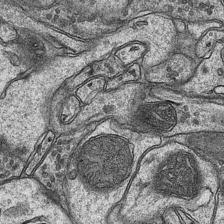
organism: Mouse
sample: CA1 Hippocampus